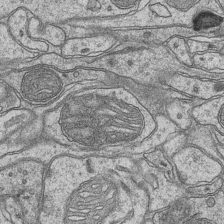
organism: Mouse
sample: CA1 Hippocampus